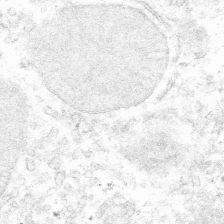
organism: Mouse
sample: Mouse hepatocytes